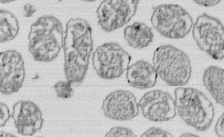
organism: E. coli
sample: Bacterial nucleoid